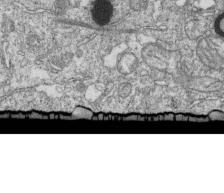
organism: Human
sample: HeLa cell HIV synapse